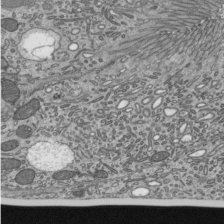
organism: Mouse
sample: Mouse epididymis efferent ductule cilia